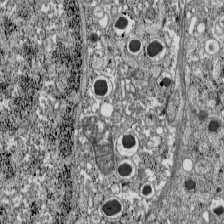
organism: C57BL Mouse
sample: Pancreatic islet